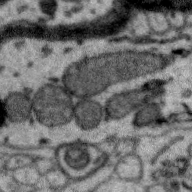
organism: Zebra finch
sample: Brain